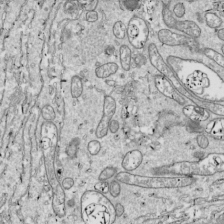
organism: Drosophila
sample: Cell division; meiosis; drosophila spermatocytes